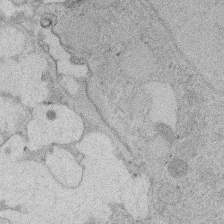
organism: Rat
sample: Salivary granule